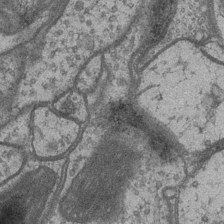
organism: Drosophila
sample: Optic medulla